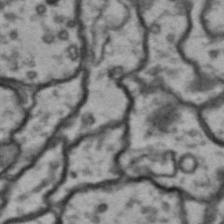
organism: Drosophila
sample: Brain